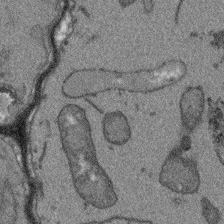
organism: Arabidopsis thaliana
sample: Root tip